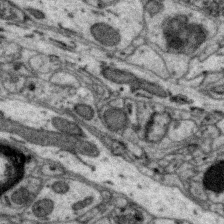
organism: Zebra finch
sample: Brain